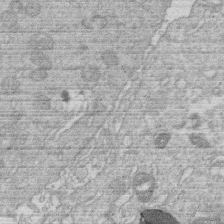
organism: Human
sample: Macrophage cells